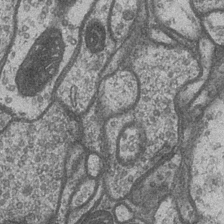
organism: Drosophila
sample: Optic medulla